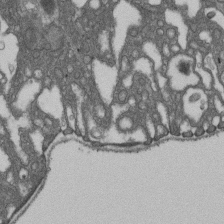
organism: Drosophila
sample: Nephrocyte